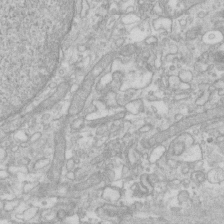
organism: Human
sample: Fibroblast cells